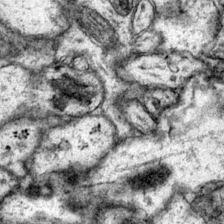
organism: Mouse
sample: Primary visual cortex